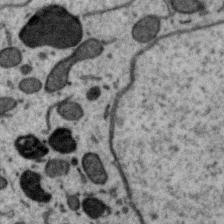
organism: Zebra finch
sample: Brain